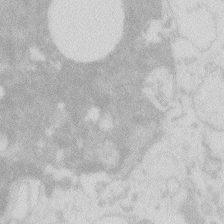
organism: Zebrafish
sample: Macrophage